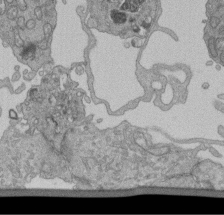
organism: Human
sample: Retinal organoid Rod and Cone cells